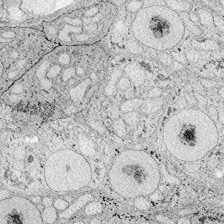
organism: Zebrafish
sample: Whole-Brain